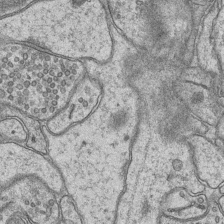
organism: Mouse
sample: CA1 Hippocampus